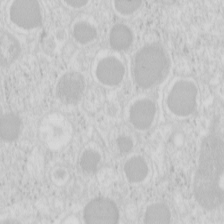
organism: Mouse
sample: Pancreas